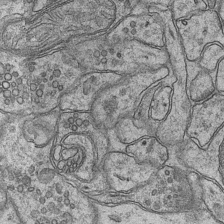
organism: Mouse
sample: CA1 Hippocampus